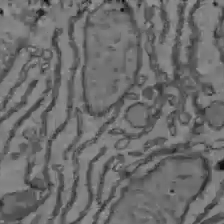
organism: C57BL Mouse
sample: Liver